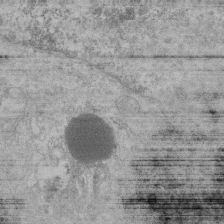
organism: Human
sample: MDA-MB-231 cells